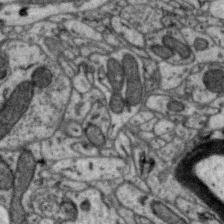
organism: Zebra finch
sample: Brain